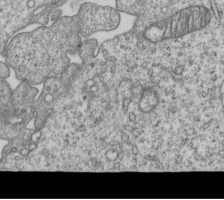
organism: Human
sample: MDA-MB-231 cells